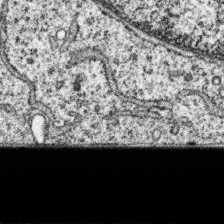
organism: Human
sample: HeLa cells